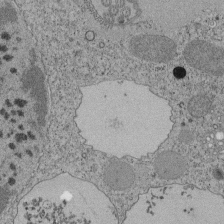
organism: Tetrahymena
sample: Cilia in tetrahymena